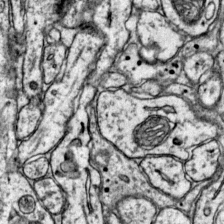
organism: Mouse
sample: Primary visual cortex